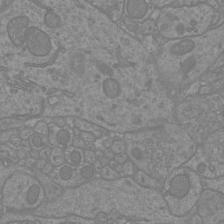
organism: Mouse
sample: Cortical neurons